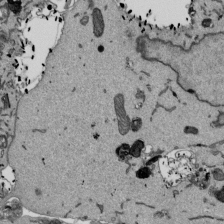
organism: Mouse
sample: ED-1 cell nuclei; centrioles